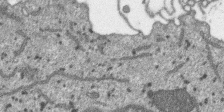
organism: Human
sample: Lung epithelial cells infected with SARS-CoV-2